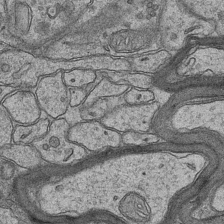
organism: Mouse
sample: CA1 Hippocampus